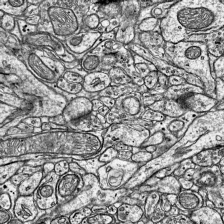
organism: Mouse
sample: Visual Cortex